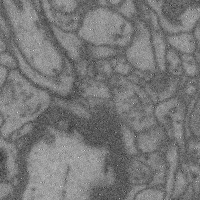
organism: Mouse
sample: Cerebral cortex